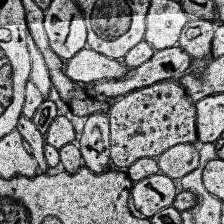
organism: Human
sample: Temporal Lobe